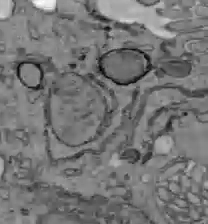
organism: C57BL Mouse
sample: Liver